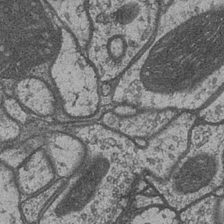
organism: Drosophila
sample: Optic medulla